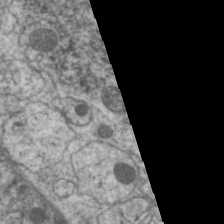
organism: C. elegans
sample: Pharynx